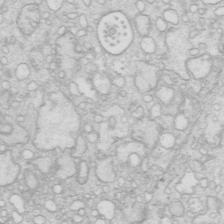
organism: Mouse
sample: Multiciliated cells